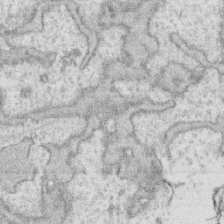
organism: Human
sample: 1205lu cells